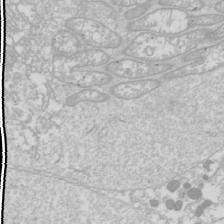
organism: Drosophila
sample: Cell division; meiosis; drosophila spermatocytes